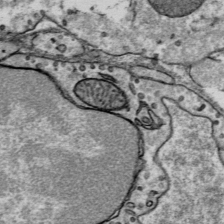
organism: Mouse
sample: Mouse Salivary gland